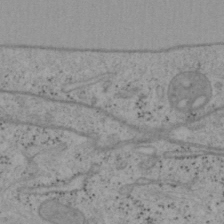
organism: Human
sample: HeLa cells